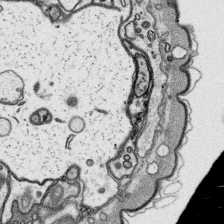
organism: Platynereis dumerilii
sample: Parapodia